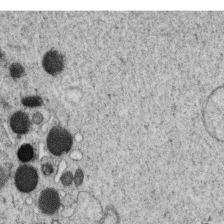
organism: C. elegans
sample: C. elegans oocyte; sperm cells